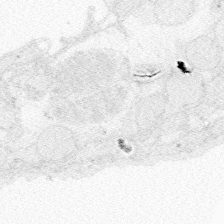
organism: Zebrafish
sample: Whole-Brain